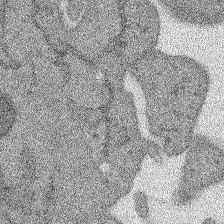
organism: Human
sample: HeLa cells